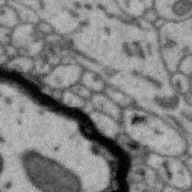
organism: Zebra finch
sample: Brain